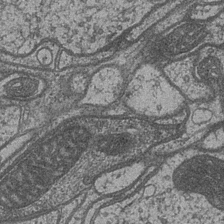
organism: Drosophila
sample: Optic medulla